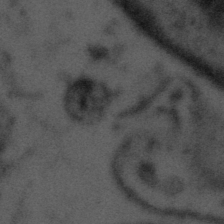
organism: Tuwongella immobilis